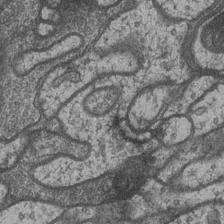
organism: Drosophila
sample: Optic medulla